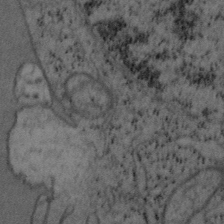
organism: Human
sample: HeLa cells